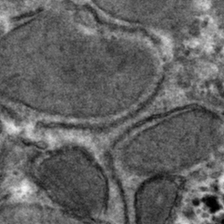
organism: Mouse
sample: Mouse hepatocytes